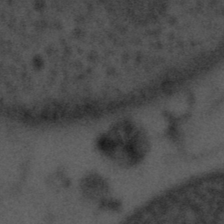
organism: Tuwongella immobilis